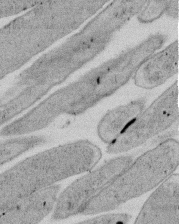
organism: E. coli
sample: Bacterial nucleoid